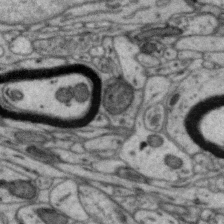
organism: Zebra finch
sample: Brain